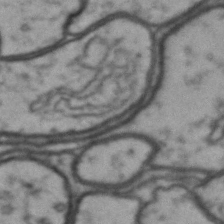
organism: Drosophila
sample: Brain